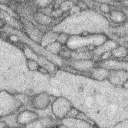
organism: Rabbit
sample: Retina